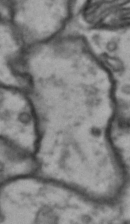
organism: Drosophila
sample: Brain